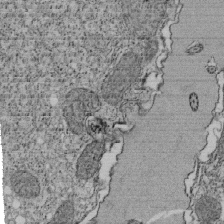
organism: Tetrahymena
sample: Cilia in tetrahymena